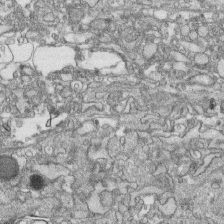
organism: Human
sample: CRL-1474